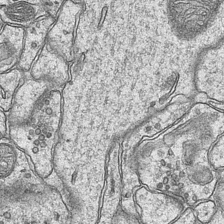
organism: Mouse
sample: CA1 Hippocampus